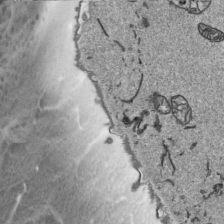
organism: Human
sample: Mitochondria in HCT116 cells